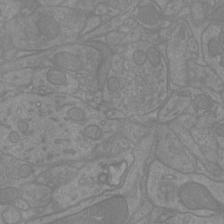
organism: Mouse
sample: Cortical neurons